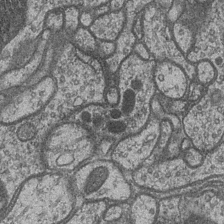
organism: Drosophila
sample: Optic medulla